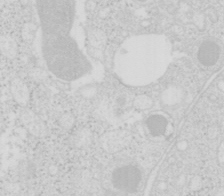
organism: Mouse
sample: Pancreas